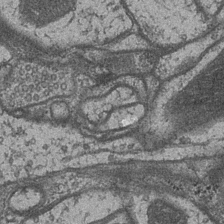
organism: Drosophila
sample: Optic medulla